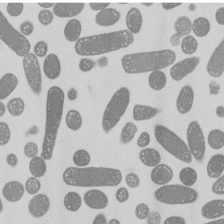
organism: E. coli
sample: Bacterial nucleoid